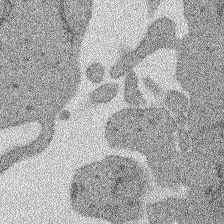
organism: Human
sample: HeLa cells